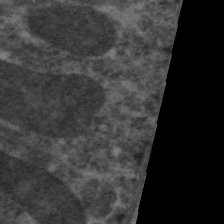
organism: C. elegans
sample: Pharynx